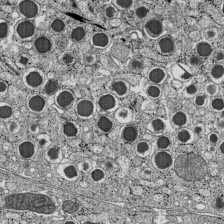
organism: C57BL Mouse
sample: Pancreatic islet